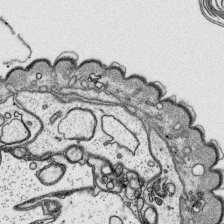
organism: Platynereis dumerilii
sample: Parapodia